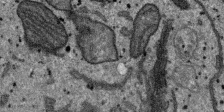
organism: Human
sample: Lung epithelial cells, uninfected (mock) control